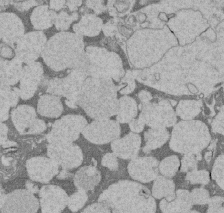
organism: Rat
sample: Salivary granule